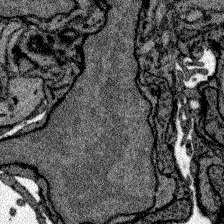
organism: Zebrafish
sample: Larval olfactory bulb